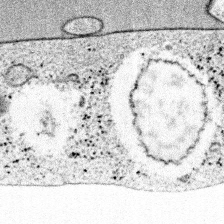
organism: Human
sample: HeLa cells